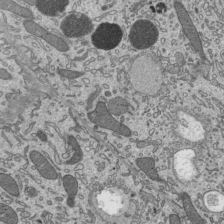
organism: Mouse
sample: Mouse epididymis efferent ductule cilia